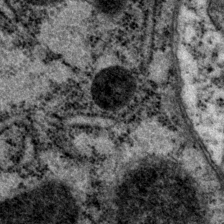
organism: P. pacificus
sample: Pharynx